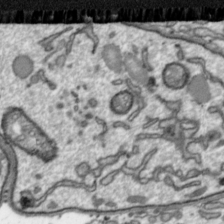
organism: Toxoplasma gondii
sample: Parasites in a vacuole inside a host cell